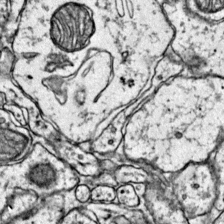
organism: Mouse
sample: Primary visual cortex